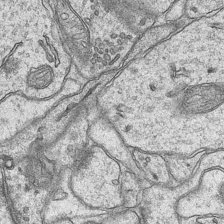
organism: Mouse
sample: CA1 Hippocampus